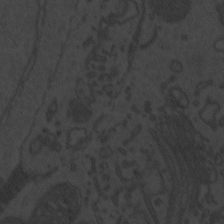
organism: Zebrafish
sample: Macrophage infected with Toxoplasma gondii